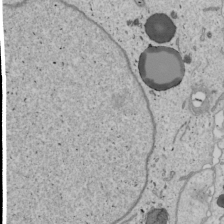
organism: Human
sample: Mitochondria in U2OS cells